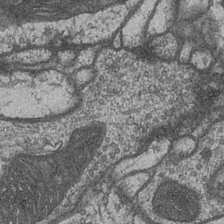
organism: Drosophila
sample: Optic medulla